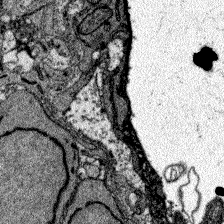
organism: Zebrafish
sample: Larval olfactory bulb